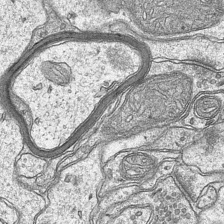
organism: Mouse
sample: CA1 Hippocampus